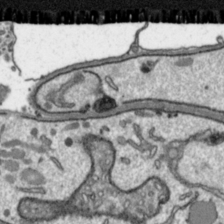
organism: Toxoplasma gondii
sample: Parasites in a vacuole inside a host cell